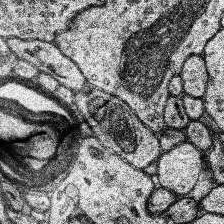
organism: Human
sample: Temporal Lobe